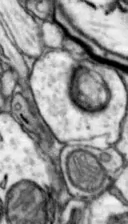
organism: Mouse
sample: Nucleus accumbens